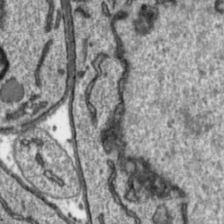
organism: Toxoplasma gondii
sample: Parasites in a vacuole inside a host cell